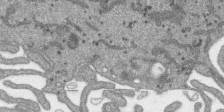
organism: Human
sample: Lung epithelial cells infected with SARS-CoV-2